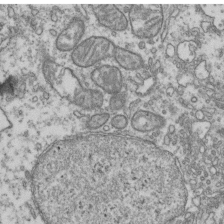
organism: Human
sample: Activated Jurkat CD4+ T cells